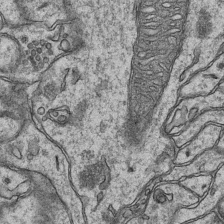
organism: Mouse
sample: CA1 Hippocampus